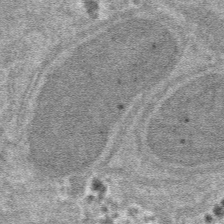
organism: Mouse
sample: Mouse hepatocytes